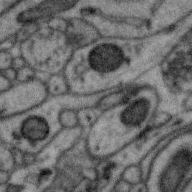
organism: Zebra finch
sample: Brain